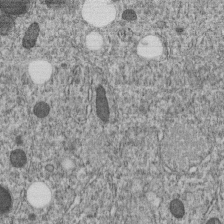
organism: C. elegans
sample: C. elegans embryo early stage